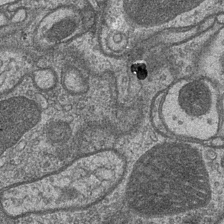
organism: Drosophila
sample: Optic medulla